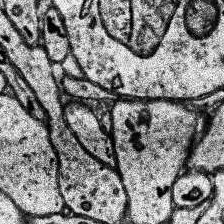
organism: Human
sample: Temporal Lobe